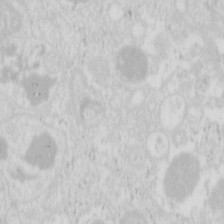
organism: Mouse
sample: Pancreas